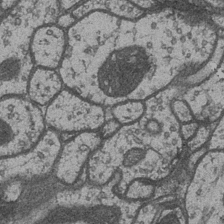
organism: Drosophila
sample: Optic medulla